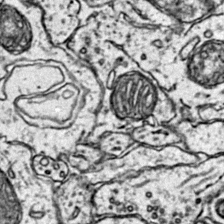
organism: Mouse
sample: Primary visual cortex